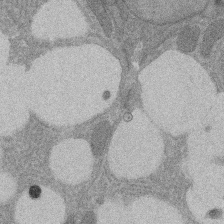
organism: Rat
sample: Salivary granule